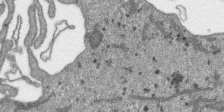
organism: Human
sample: Lung epithelial cells infected with SARS-CoV-2